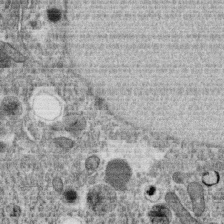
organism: C. elegans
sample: C. elegans oocyte; sperm cells